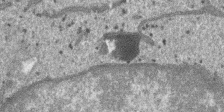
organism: Human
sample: Lung epithelial cells infected with SARS-CoV-2